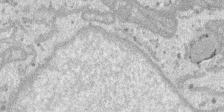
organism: Human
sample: Lung epithelial cells infected with SARS-CoV-2